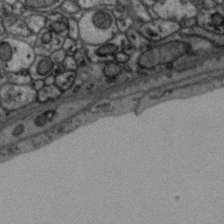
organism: Zebra finch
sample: Brain